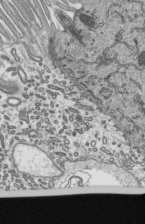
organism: Mouse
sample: Mouse epididymis efferent ductule cilia